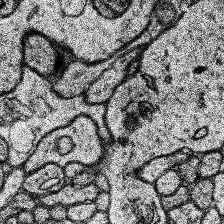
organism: Human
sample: Temporal Lobe